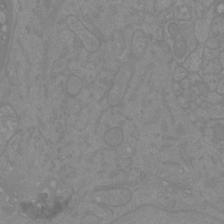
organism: Mouse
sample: Cortical neurons